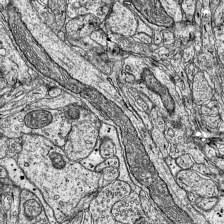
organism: Mouse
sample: Visual Cortex